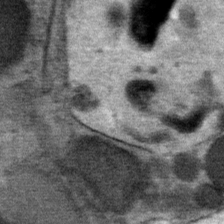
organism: Mouse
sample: Mouse Salivary gland